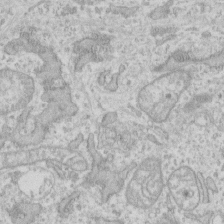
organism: Human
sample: Fibroblast cells